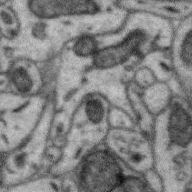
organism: Zebra finch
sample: Brain